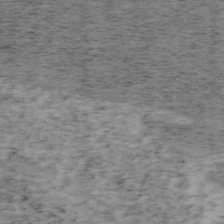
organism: Mouse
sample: OT-I killer T cells with ID8 ovarian cancer cells